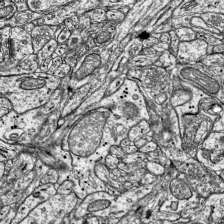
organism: Mouse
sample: Visual Cortex